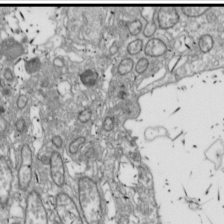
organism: Drosophila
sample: Cell division; meiosis; drosophila spermatocytes